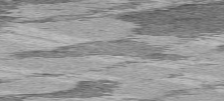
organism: C57BL Mouse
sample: Heart